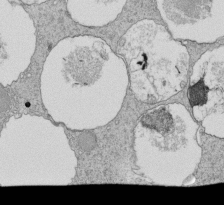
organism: Tetrahymena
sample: Cilia in tetrahymena